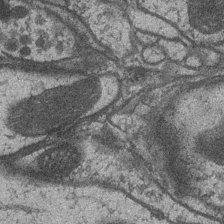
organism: Drosophila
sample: Optic medulla